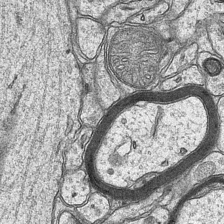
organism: Mouse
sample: CA1 Hippocampus